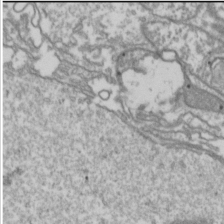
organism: Drosophila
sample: Cell division; meiosis; drosophila spermatocytes